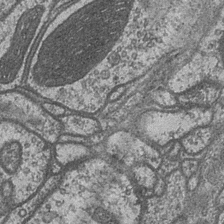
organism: Drosophila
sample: Optic medulla